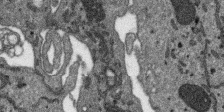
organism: Human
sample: Lung epithelial cells infected with SARS-CoV-2